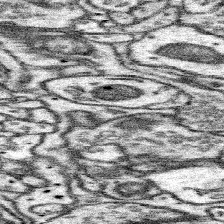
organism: Mouse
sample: Somatosensory cortex neuropil